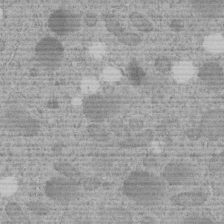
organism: C. elegans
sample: C. elegans embryo early stage